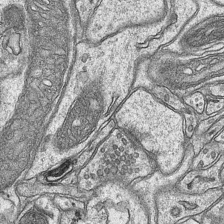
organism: Mouse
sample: CA1 Hippocampus